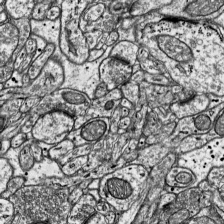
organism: Mouse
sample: Visual Cortex